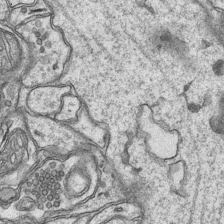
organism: Mouse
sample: CA1 Hippocampus